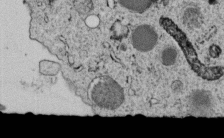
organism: C. elegans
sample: C. elegans embryo early stage